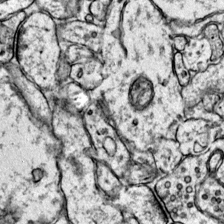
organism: Mouse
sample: Primary visual cortex